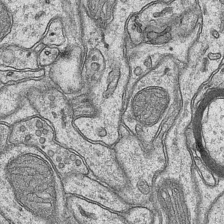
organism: Mouse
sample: CA1 Hippocampus